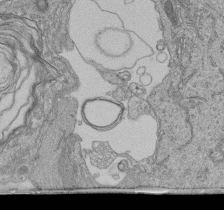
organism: Human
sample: Retinal organoid Rod and Cone cells